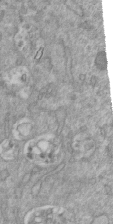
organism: Mouse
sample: ED-1 cell nuclei; centrioles